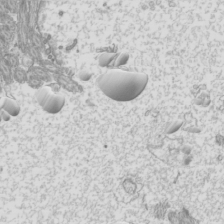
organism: Mouse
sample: Cilia; mouse epididymis